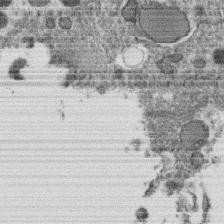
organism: C. elegans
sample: C. elegans oocyte; sperm cells